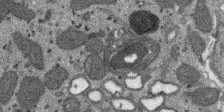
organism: Human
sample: Lung epithelial cells infected with SARS-CoV-2